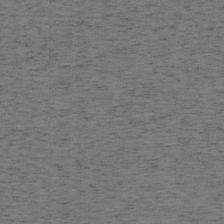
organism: Mouse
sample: OT-I killer T cells with ID8 ovarian cancer cells